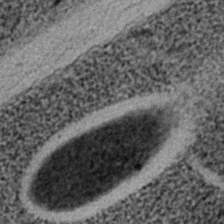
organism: C. elegans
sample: C. elegans embryo